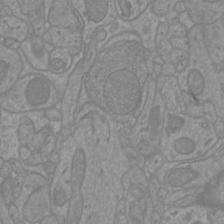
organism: Mouse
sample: Cortical neurons